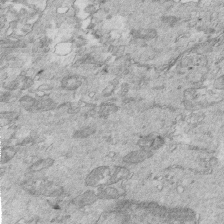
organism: Mouse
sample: Multiciliated cells